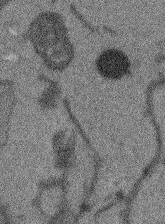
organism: Arabidopsis thaliana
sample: Root tip